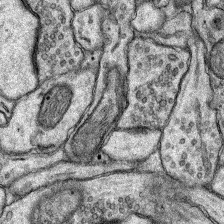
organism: Rat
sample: Hippocampus